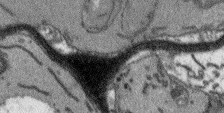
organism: Arabidopsis thaliana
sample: Root tip